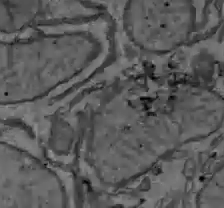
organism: C57BL Mouse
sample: Liver